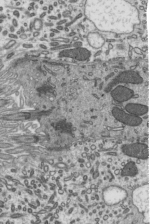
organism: Mouse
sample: Mouse epididymis efferent ductule cilia